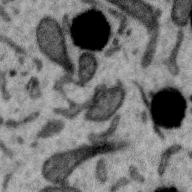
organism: Zebra finch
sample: Brain